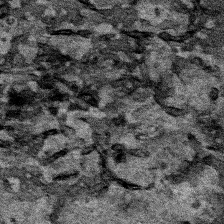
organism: Human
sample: Mitochondria in HCT116 cells